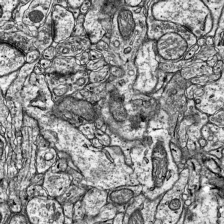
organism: Mouse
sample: Visual Cortex